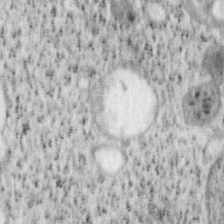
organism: Mouse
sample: OT-I killer T cells with ID8 ovarian cancer cells